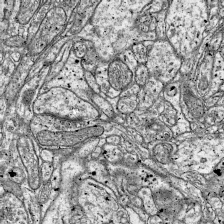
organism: Mouse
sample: Visual Cortex